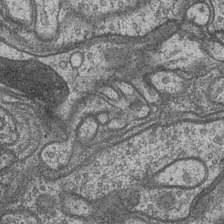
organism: Drosophila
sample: Optic medulla